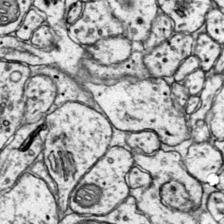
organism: Mouse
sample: Primary visual cortex